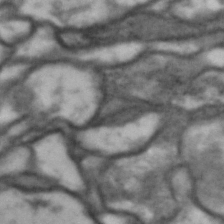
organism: Drosophila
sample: Brain